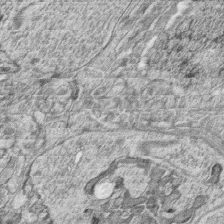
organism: Zebrafish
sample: synaptic ribbons in rod cells and cone cells